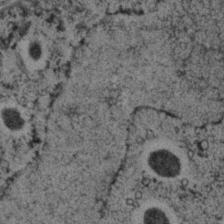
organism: C. elegans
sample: C. elegans embryo